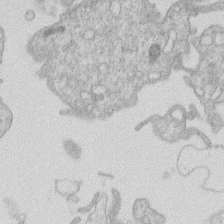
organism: Human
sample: Macrophage cells